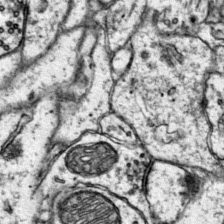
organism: Mouse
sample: Primary visual cortex